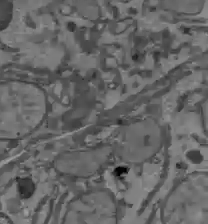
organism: C57BL Mouse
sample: Liver